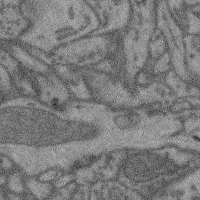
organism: Mouse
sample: Cerebral cortex